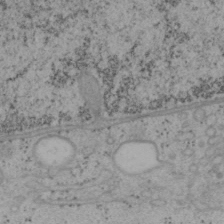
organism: Human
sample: HeLa cells